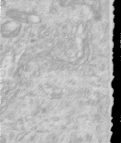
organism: Human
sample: Centriole in RPE cells